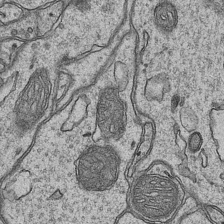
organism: Mouse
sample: CA1 Hippocampus